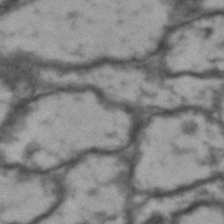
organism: Drosophila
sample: Brain